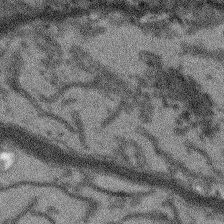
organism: Arabidopsis thaliana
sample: Root tip